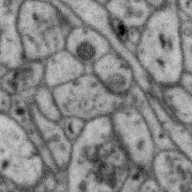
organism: Zebra finch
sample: Brain